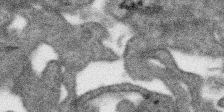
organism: Human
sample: Lung epithelial cells infected with SARS-CoV-2